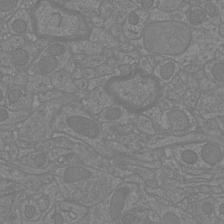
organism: Mouse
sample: Cortical neurons